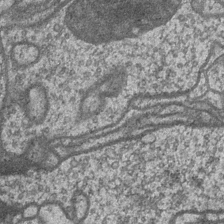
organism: Drosophila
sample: Optic medulla